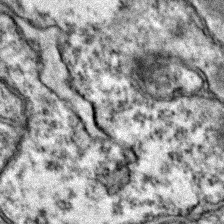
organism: Zebrafish